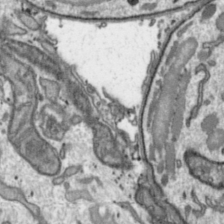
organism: Toxoplasma gondii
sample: Parasites in a vacuole inside a host cell